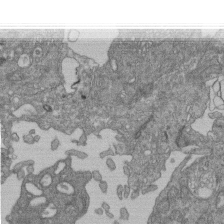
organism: Human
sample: Retinal organoid Rod and Cone cells